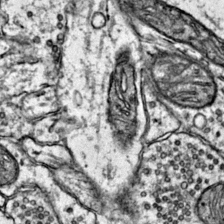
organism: Mouse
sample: Primary visual cortex